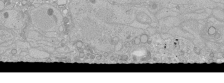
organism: Human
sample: Caco-2 cells